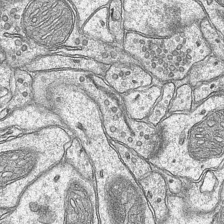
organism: Mouse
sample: CA1 Hippocampus